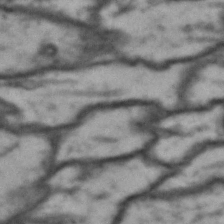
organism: Drosophila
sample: Brain